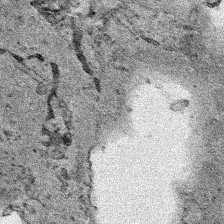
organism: Human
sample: Mitochondria in HCT116 cells